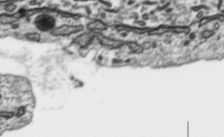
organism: Toxoplasma gondii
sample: Parasites in a vacuole inside a host cell